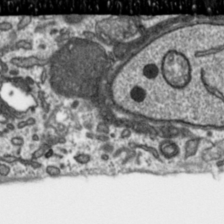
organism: Toxoplasma gondii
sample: Parasites in a vacuole inside a host cell